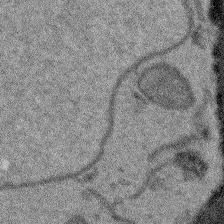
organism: Arabidopsis thaliana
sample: Root tip